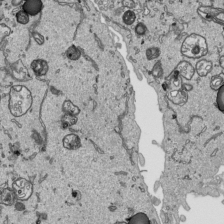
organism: Human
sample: Mitochondria in HCT116 cells